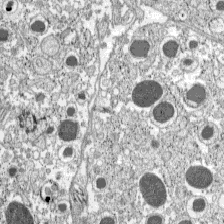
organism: C57BL Mouse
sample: Pancreatic islet